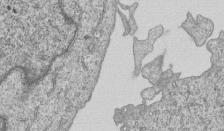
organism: Human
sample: MDA-MB-231 cells